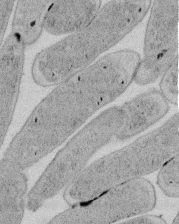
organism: E. coli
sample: Bacterial nucleoid